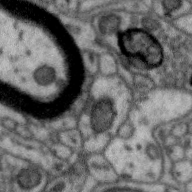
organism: Zebra finch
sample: Brain